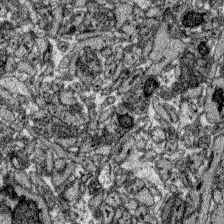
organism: Zebrafish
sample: Larval olfactory bulb